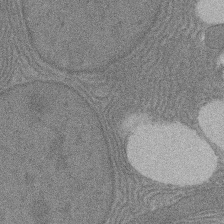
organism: Rat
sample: Salivary granule